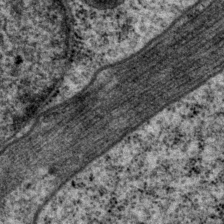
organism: P. pacificus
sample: Pharynx